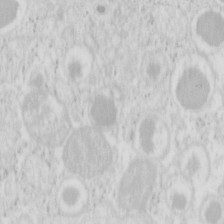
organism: Mouse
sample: Pancreas